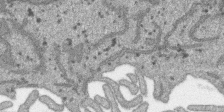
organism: Human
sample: Lung epithelial cells infected with SARS-CoV-2